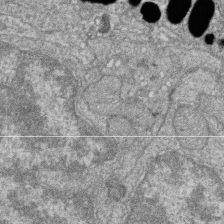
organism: Zebrafish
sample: Cilia; retinal pigment epithelium